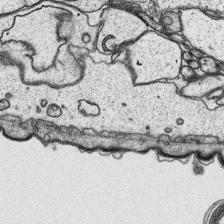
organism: Platynereis dumerilii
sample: Parapodia